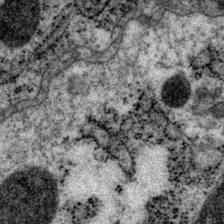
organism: P. pacificus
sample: Pharynx